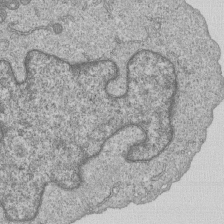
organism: Human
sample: MDA-MB-231 cells